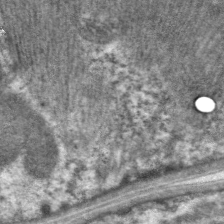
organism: C. elegans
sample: Pharynx